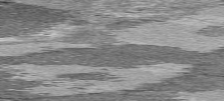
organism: C57BL Mouse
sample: Heart